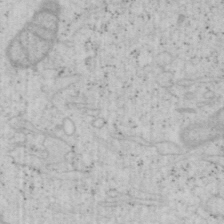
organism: Human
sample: HeLa cells